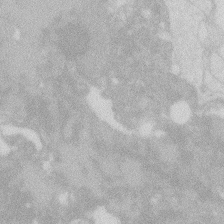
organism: Zebrafish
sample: Macrophage